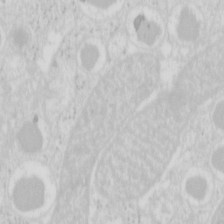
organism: Mouse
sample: Pancreas